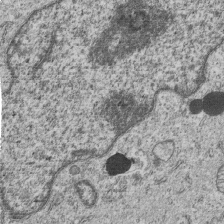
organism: Human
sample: MDA-MB-231 cells